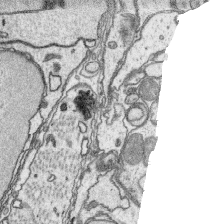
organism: Platynereis dumerilii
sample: Parapodia